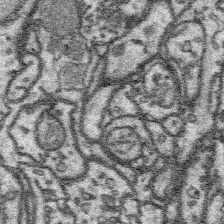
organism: Platynereis dumerilii